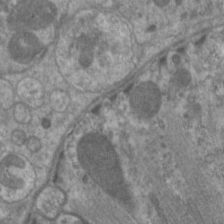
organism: C. elegans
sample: Pharynx